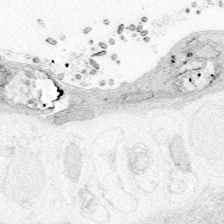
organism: Zebrafish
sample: Whole-Brain